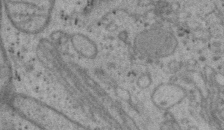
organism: Human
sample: HeLa cells